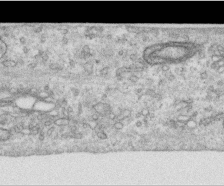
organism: Human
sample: Centriole in RPE cells